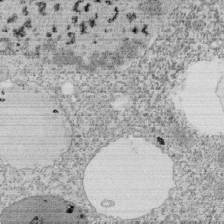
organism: Tetrahymena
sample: Cilia in tetrahymena